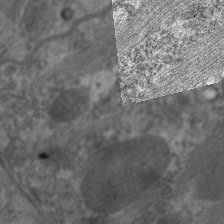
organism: C. elegans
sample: Pharynx